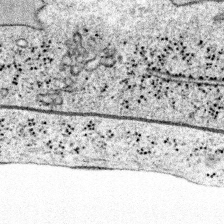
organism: Human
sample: HeLa cells